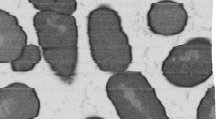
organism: B. subtilis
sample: Bacterial spore